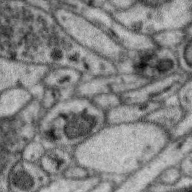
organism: Zebra finch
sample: Brain